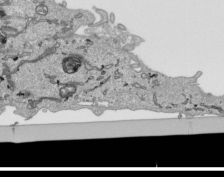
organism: Human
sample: Mitochondria in HCT116 cells